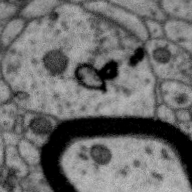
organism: Zebra finch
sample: Brain